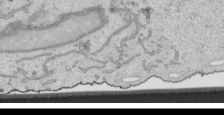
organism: Human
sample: Mitochondria in HCT116 cells